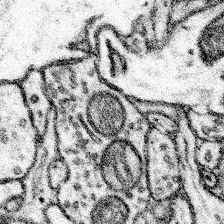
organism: Mouse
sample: Somatosensory cortex neuropil